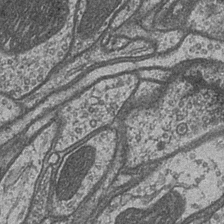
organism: Drosophila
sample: Optic medulla